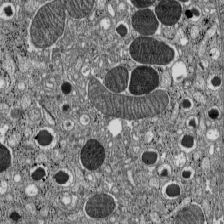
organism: C57BL Mouse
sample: Pancreatic islet